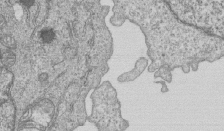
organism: Human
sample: MDA-MB-231 cells